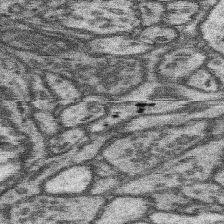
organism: Mouse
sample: Somatosensory cortex neuropil